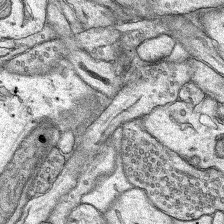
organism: Rat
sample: Hippocampus